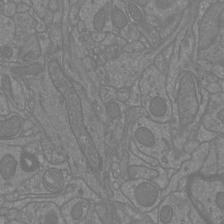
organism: Mouse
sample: Cortical neurons